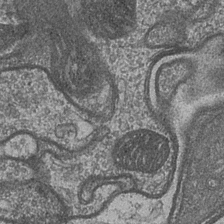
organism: Drosophila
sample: Optic medulla